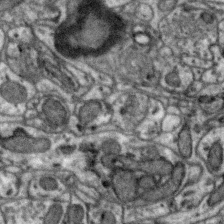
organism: Zebra finch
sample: Brain